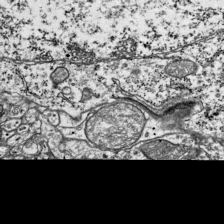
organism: Mouse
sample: Visual Cortex